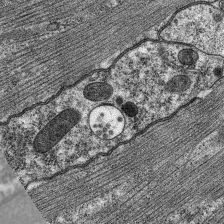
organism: C. elegans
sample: Pharynx